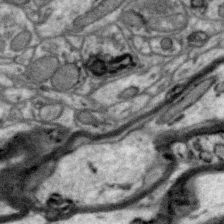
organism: Zebra finch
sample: Brain